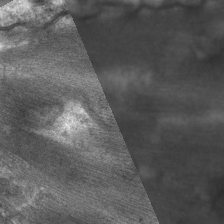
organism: C. elegans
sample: Pharynx